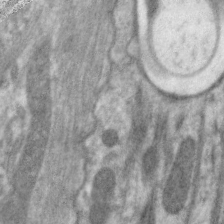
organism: C. elegans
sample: Pharynx